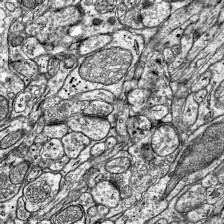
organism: Mouse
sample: Visual Cortex